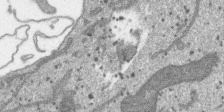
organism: Human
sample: Lung epithelial cells infected with SARS-CoV-2